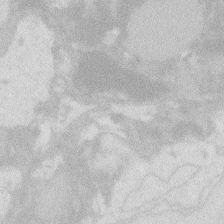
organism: Zebrafish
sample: Macrophage